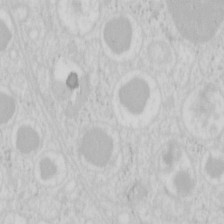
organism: Mouse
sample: Pancreas